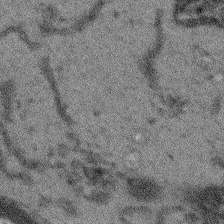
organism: Arabidopsis thaliana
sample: Root tip